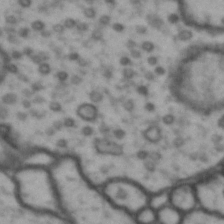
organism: Drosophila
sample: Brain